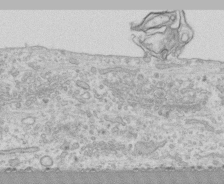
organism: Human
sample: CRL-1474